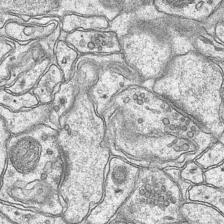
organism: Mouse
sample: CA1 Hippocampus